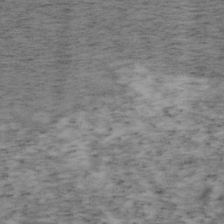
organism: Mouse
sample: OT-I killer T cells with ID8 ovarian cancer cells